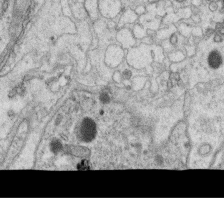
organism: C. elegans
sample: C. elegans oocyte; sperm cells